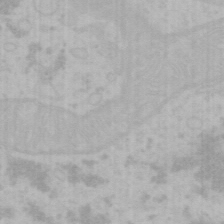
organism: Mouse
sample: Choroid plexus